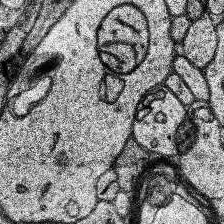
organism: Human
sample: Temporal Lobe